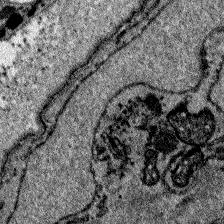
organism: Zebrafish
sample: Larval olfactory bulb